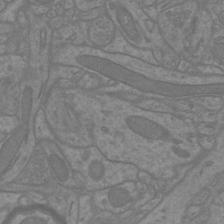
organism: Mouse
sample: Cortical neurons